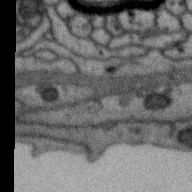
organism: Zebra finch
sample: Brain